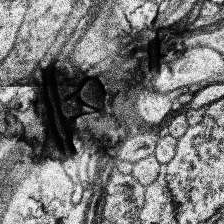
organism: Human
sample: Temporal Lobe